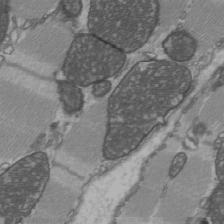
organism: C57BL Mouse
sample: Heart